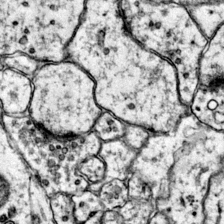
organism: Mouse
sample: Primary visual cortex